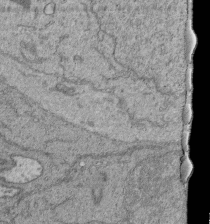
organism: Human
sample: Retinal organoid Rod and Cone cells